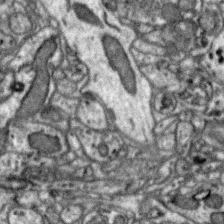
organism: Zebra finch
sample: Brain